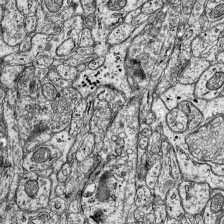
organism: Mouse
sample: Visual Cortex